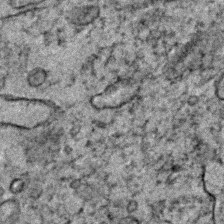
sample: Trachea